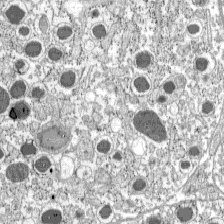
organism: C57BL Mouse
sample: Pancreatic islet